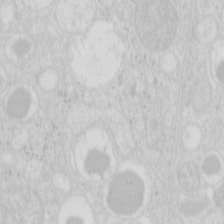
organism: Mouse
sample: Pancreas